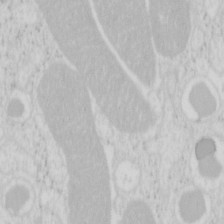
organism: Mouse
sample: Pancreas